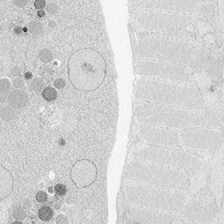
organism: Zebrafish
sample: Whole-Brain